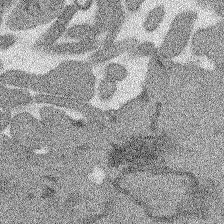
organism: Human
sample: HeLa cells